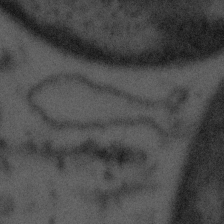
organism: Tuwongella immobilis